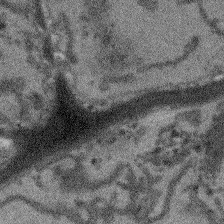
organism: Arabidopsis thaliana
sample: Root tip